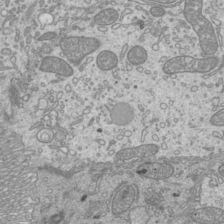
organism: Mouse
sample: Cilia; mouse epididymis